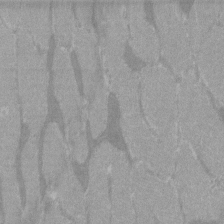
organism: C57BL Mouse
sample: Tibialis anterior muscle cell